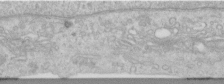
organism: Human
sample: Centriole in RPE cells